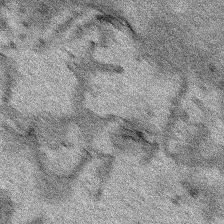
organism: Human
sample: Mitochondria in HCT116 cells